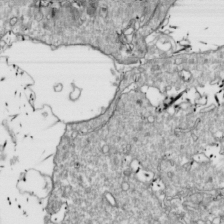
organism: Drosophila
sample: Cell division; meiosis; drosophila spermatocytes